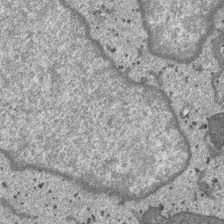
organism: Human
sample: Lung epithelial cells infected with SARS-CoV-2